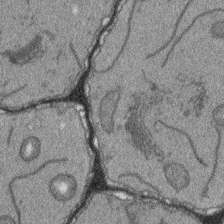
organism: Arabidopsis thaliana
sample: Root tip